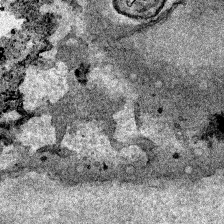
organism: Human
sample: Mitochondria in HCT116 cells